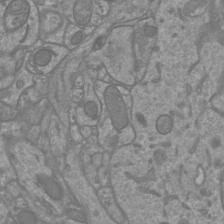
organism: Mouse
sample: Cortical neurons